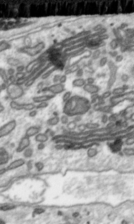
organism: Toxoplasma gondii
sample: Parasites in a vacuole inside a host cell